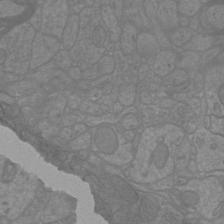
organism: Mouse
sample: Cortical neurons